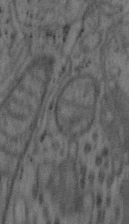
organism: Human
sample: HeLa cells